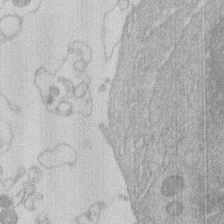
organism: Human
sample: Macrophage cells